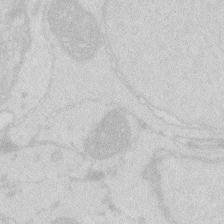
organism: Zebrafish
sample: Macrophage